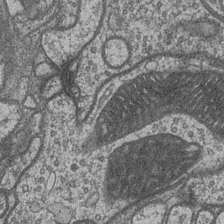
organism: Drosophila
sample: Optic medulla